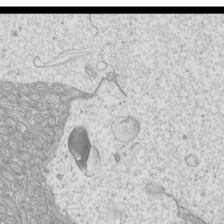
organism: Mouse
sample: Cilia; mouse epididymis